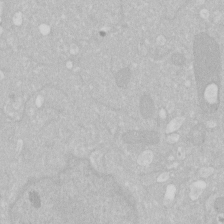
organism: Human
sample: HIV infected U937 cells